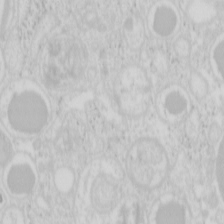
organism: Mouse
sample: Pancreas